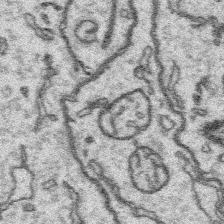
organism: Platynereis dumerilii